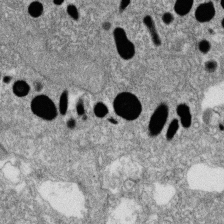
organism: Zebrafish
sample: Cilia; retinal pigment epithelium